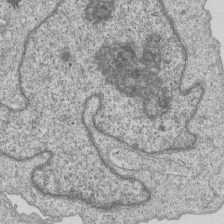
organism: Human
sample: MDA-MB-231 cells